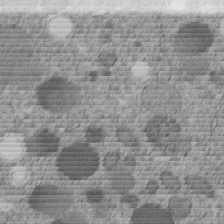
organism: C. elegans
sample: C. elegans embryo early stage